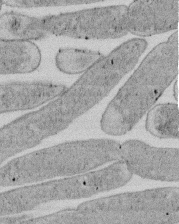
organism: E. coli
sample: Bacterial nucleoid